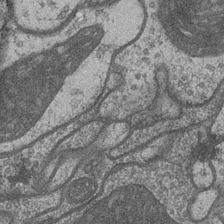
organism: Drosophila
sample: Optic medulla